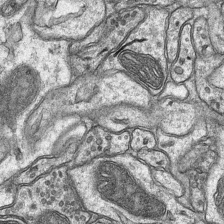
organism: Mouse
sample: CA1 Hippocampus